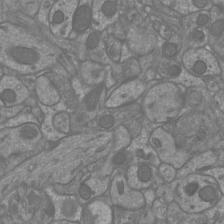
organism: Mouse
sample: Cortical neurons